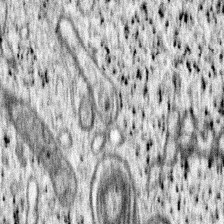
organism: Human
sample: HeLa cells